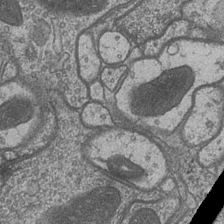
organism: Drosophila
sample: Optic medulla